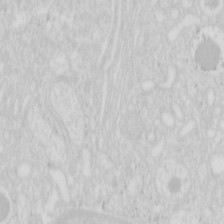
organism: Mouse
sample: Pancreas